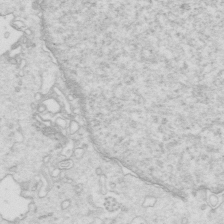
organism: Mouse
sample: Multiciliated cells